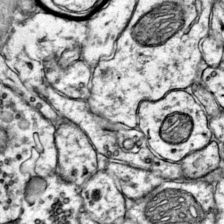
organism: Mouse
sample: Primary visual cortex